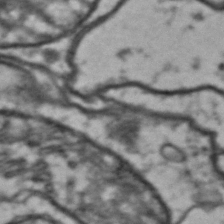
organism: Drosophila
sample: Brain